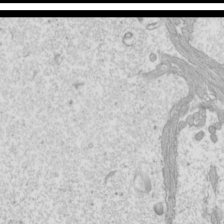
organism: Mouse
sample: Cilia; mouse epididymis